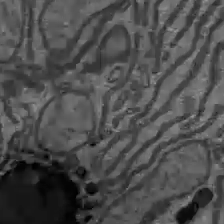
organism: C57BL Mouse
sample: Liver